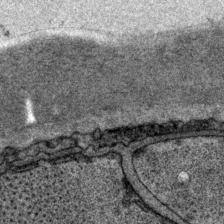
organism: P. pacificus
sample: Pharynx